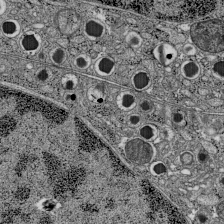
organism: C57BL Mouse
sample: Pancreatic islet